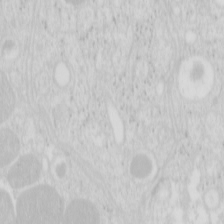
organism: Mouse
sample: Pancreas